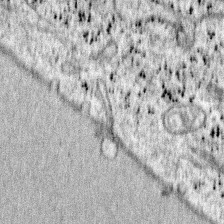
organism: Human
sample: HeLa cells